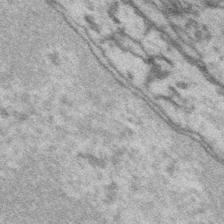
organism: Platynereis dumerilii